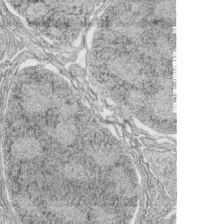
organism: Zebrafish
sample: synaptic ribbons in rod cells and cone cells